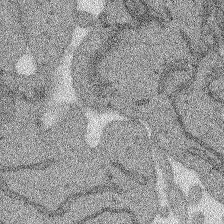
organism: Human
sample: HeLa cells